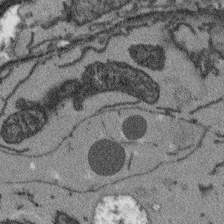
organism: Arabidopsis thaliana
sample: Root tip